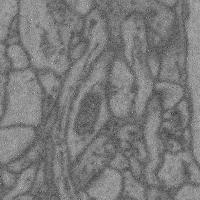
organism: Mouse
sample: Cerebral cortex